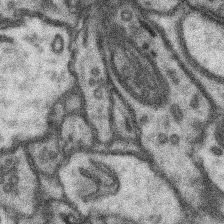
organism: Mouse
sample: Somatosensory cortex neuropil